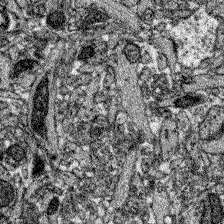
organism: Zebrafish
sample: Larval olfactory bulb